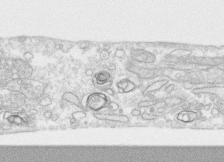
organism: Human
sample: CRL-1474